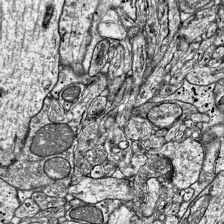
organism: Mouse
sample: Visual Cortex